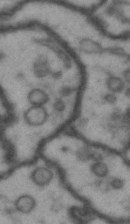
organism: Drosophila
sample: Brain